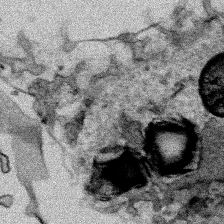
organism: Human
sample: Mitochondria in HCT116 cells